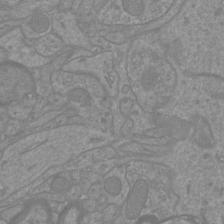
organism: Mouse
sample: Cortical neurons